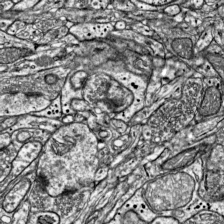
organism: Mouse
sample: Visual Cortex